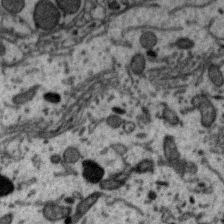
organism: Zebra finch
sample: Brain